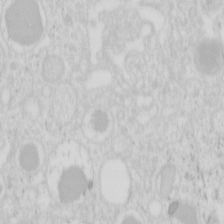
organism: Mouse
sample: Pancreas